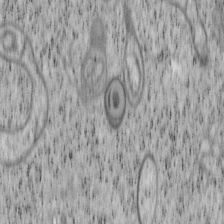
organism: Human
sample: HeLa cells